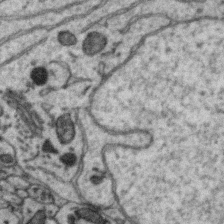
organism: Zebra finch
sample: Brain